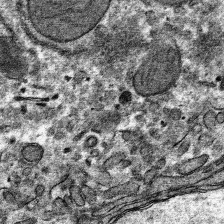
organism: Mouse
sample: Mouse hepatocytes